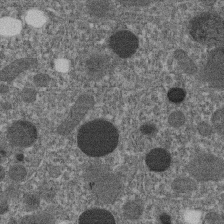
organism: C. elegans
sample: C. elegans embryo early stage